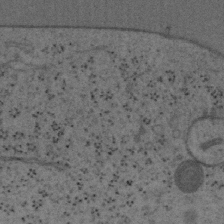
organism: Human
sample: HeLa cells